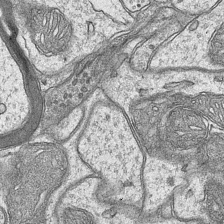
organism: Mouse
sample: CA1 Hippocampus